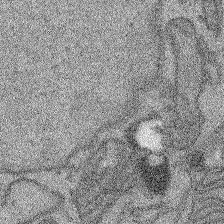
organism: Human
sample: HeLa cells